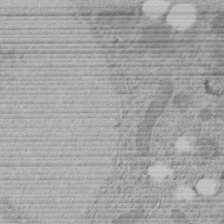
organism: C. elegans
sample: C. elegans embryo early stage